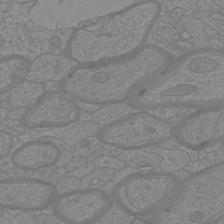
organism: Mouse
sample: Cortical neurons